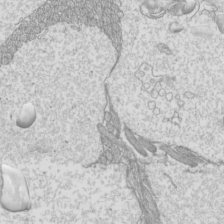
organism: Mouse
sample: Cilia; mouse epididymis